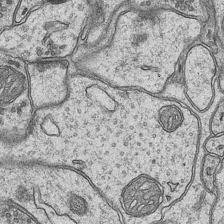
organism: Mouse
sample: CA1 Hippocampus